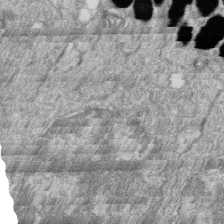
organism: Zebrafish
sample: Cilia; retinal pigment epithelium